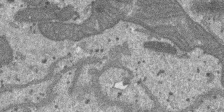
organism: Human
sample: Lung epithelial cells infected with SARS-CoV-2